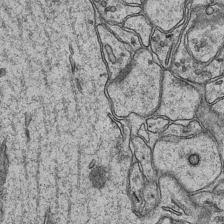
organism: Mouse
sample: CA1 Hippocampus